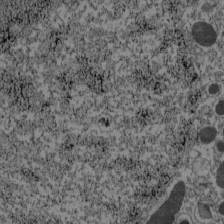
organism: C57BL Mouse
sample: Pancreatic islet